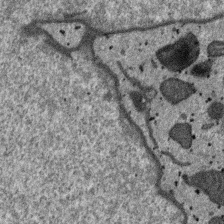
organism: Human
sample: Lung epithelial cells, uninfected (mock) control